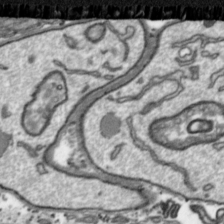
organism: Toxoplasma gondii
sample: Parasites in a vacuole inside a host cell